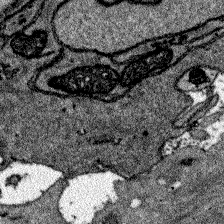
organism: Zebrafish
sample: Larval olfactory bulb